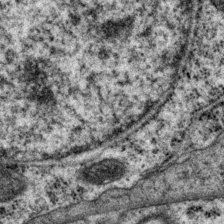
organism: P. pacificus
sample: Pharynx